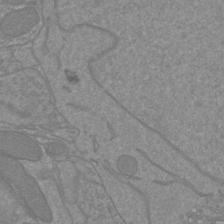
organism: Mouse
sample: Cortical neurons